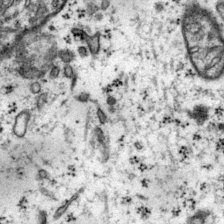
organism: Mouse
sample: Primary visual cortex